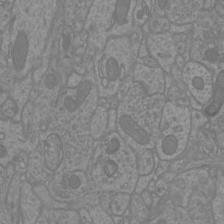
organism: Mouse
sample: Cortical neurons